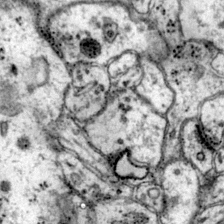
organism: Mouse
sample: Primary visual cortex